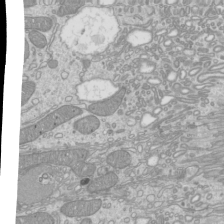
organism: Mouse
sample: Cilia; mouse epididymis